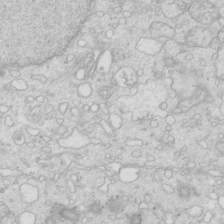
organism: Mouse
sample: Multiciliated cells